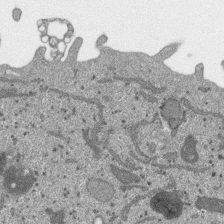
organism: Human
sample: Lung epithelial cells infected with SARS-CoV-2